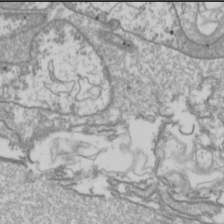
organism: Drosophila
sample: Cell division; meiosis; drosophila spermatocytes